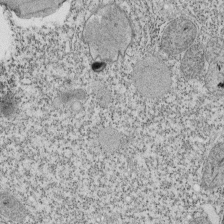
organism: Tetrahymena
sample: Cilia in tetrahymena